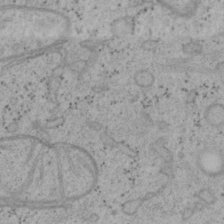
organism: Human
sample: HeLa cells